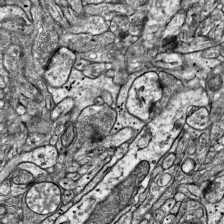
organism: Mouse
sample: Visual Cortex